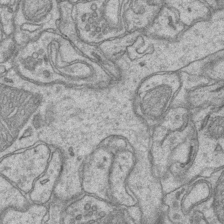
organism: Mouse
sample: CA1 Hippocampus